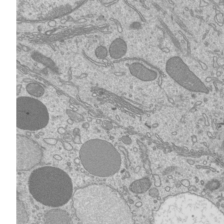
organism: Mouse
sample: Cilia; mouse epididymis